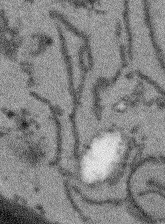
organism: Arabidopsis thaliana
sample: Root tip